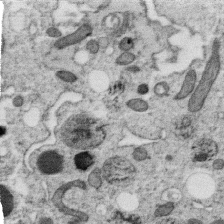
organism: C. elegans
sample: C. elegans oocyte; sperm cells